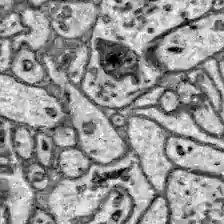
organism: Zebrafish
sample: Brain